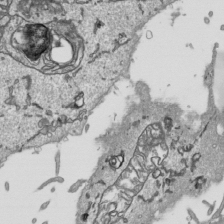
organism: Human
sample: Mitochondria in HCT116 cells